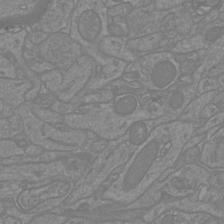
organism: Mouse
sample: Cortical neurons